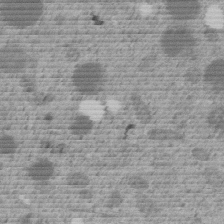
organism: C. elegans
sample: C. elegans embryo early stage